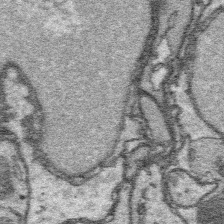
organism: Platynereis dumerilii